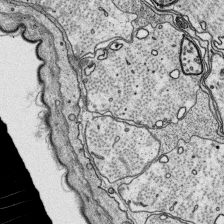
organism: Platynereis dumerilii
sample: Parapodia